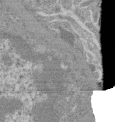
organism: Mouse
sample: Glomerulus